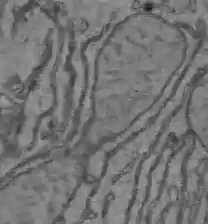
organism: C57BL Mouse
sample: Liver